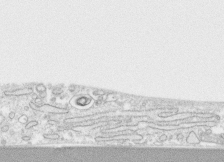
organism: Human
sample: CRL-1474